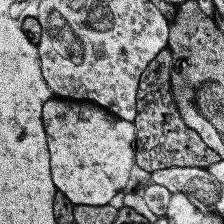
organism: Human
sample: Temporal Lobe